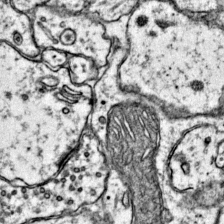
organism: Mouse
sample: Primary visual cortex